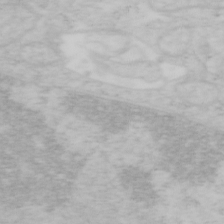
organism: Mouse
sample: OT-I killer T cells with ID8 ovarian cancer cells